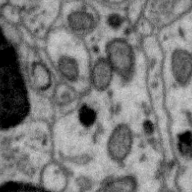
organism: Zebra finch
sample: Brain